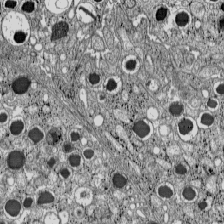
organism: C57BL Mouse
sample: Pancreatic islet